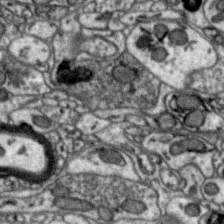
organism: Zebra finch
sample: Brain